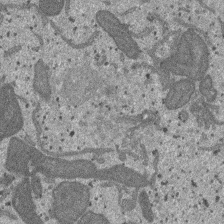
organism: Human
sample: Lung epithelial cells infected with SARS-CoV-2